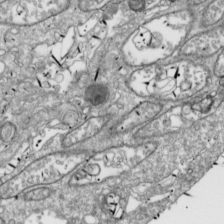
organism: Drosophila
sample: Cell division; meiosis; drosophila spermatocytes